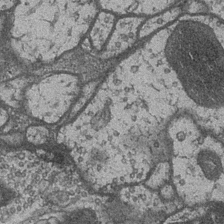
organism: Drosophila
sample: Optic medulla